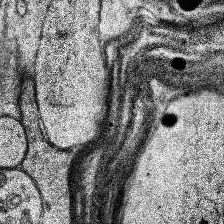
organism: Human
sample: Temporal Lobe